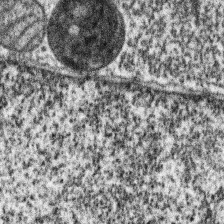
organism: Human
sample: HeLa cells